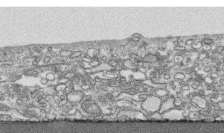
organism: Human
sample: CRL-1474